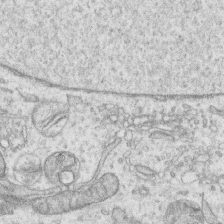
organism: Human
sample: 1205lu cells